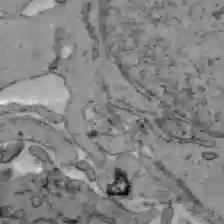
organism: C57BL Mouse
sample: Liver